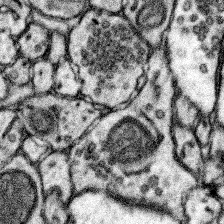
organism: Mouse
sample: Somatosensory cortex neuropil